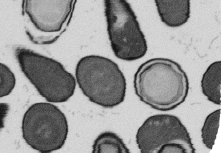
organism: B. subtilis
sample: Bacterial spore